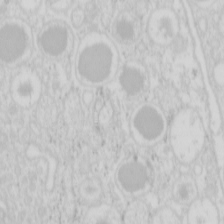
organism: Mouse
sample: Pancreas